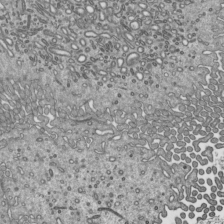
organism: Mouse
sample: Mouse epididymis efferent ductule cilia